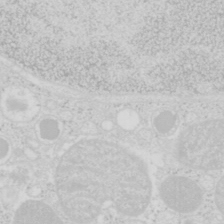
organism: Mouse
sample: Pancreas